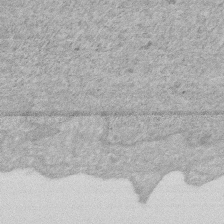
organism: Human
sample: HIV infected U937 cells